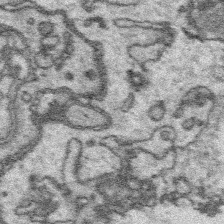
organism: Platynereis dumerilii